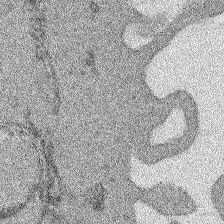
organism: Human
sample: HeLa cells